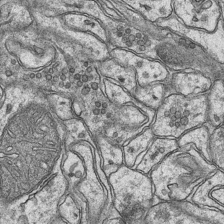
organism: Mouse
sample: CA1 Hippocampus